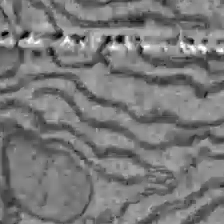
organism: C57BL Mouse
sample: Liver